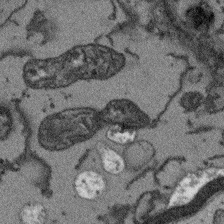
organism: Arabidopsis thaliana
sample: Root tip